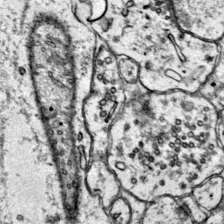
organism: Mouse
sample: Primary visual cortex